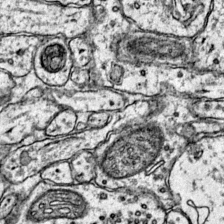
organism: Mouse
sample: Primary visual cortex